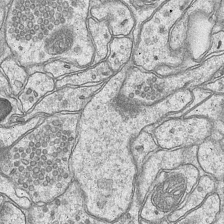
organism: Mouse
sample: CA1 Hippocampus